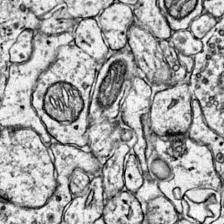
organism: Mouse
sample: Primary visual cortex